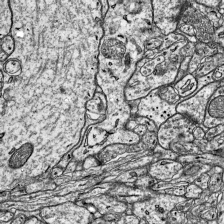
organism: Mouse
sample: Visual Cortex